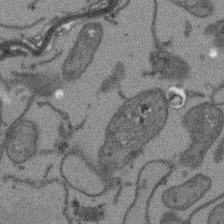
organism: Arabidopsis thaliana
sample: Root tip